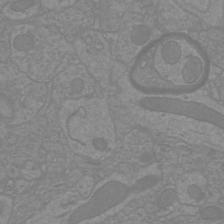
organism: Mouse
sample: Cortical neurons